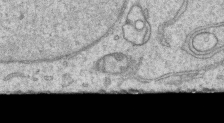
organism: Human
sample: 1205lu cells